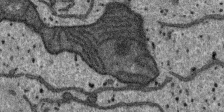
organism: Human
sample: Lung epithelial cells, uninfected (mock) control